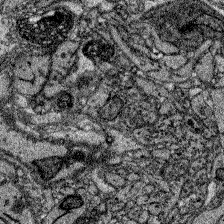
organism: Zebrafish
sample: Larval olfactory bulb